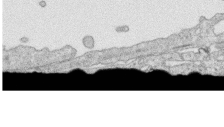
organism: Human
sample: HeLa cell HIV synapse